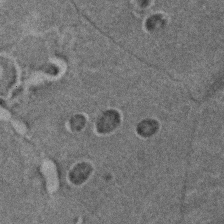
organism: C. elegans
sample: C. elegans embryo